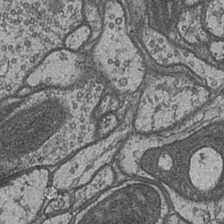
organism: Drosophila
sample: Optic medulla